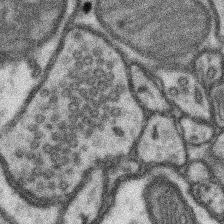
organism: Mouse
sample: Somatosensory cortex neuropil